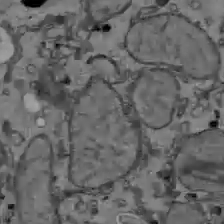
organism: C57BL Mouse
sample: Liver